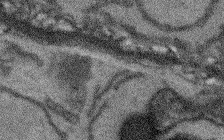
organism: Arabidopsis thaliana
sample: Root tip